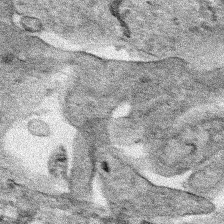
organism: Human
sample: Mitochondria in HCT116 cells